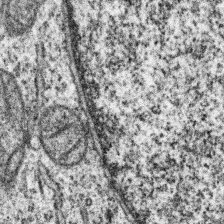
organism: Human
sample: HeLa cells